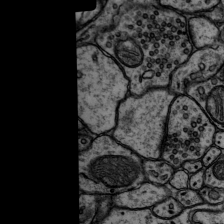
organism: Rat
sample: Hippocampus